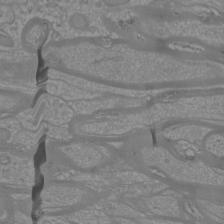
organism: Mouse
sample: Cortical neurons